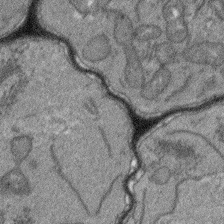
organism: Arabidopsis thaliana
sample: Root tip